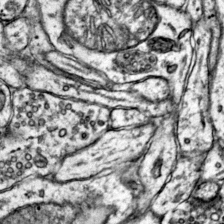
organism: Mouse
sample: Primary visual cortex